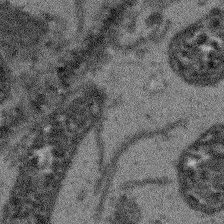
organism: Arabidopsis thaliana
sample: Root tip